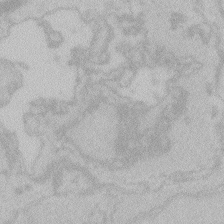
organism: Zebrafish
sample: Macrophage infected with Toxoplasma gondii